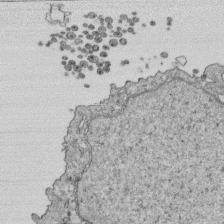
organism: Human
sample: HeLa cell HIV synapse